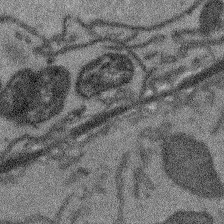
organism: Arabidopsis thaliana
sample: Root tip